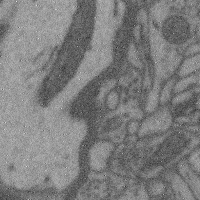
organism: Mouse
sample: Cerebral cortex